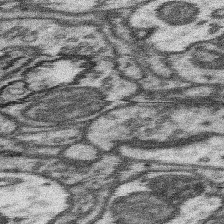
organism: Mouse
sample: Somatosensory cortex neuropil